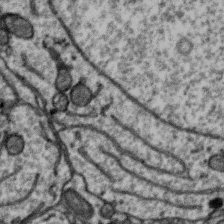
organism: Zebra finch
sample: Brain